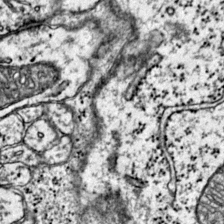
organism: Mouse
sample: Primary visual cortex